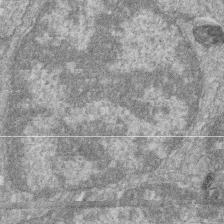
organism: Zebrafish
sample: Cilia; retinal pigment epithelium